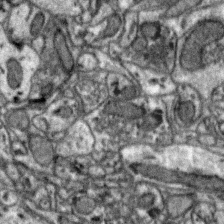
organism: Zebra finch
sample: Brain